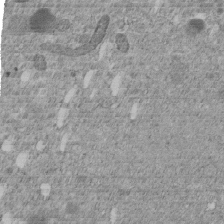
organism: C. elegans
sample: C. elegans embryo early stage